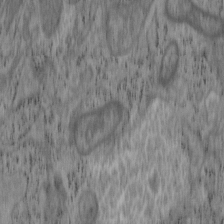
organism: Human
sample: HeLa cells